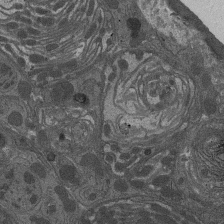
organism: Drosophila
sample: Antenna